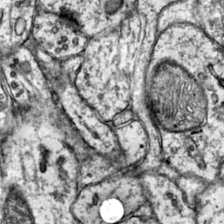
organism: Mouse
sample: Primary visual cortex